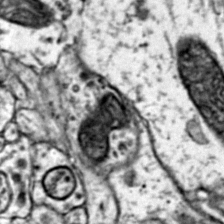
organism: Mouse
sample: Primary visual cortex